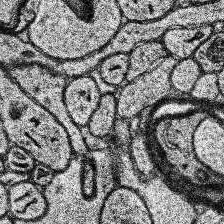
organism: Human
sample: Temporal Lobe